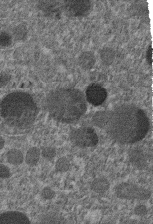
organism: C. elegans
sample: C. elegans embryo early stage